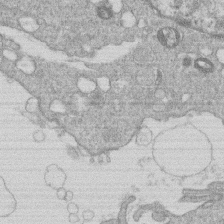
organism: Human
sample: Macrophage cells